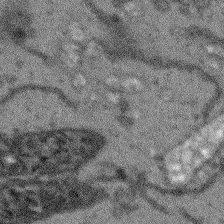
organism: Arabidopsis thaliana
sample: Root tip